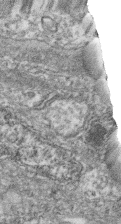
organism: Zebrafish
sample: Cilia; retinal pigment epithelium